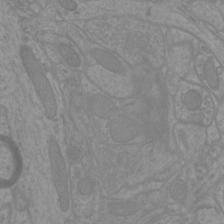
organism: Mouse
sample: Cortical neurons